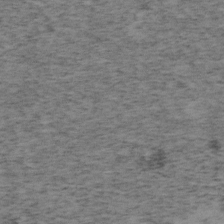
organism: Mouse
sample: OT-I killer T cells with ID8 ovarian cancer cells